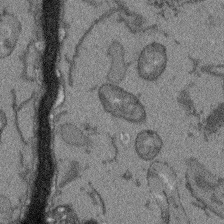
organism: Arabidopsis thaliana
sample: Root tip